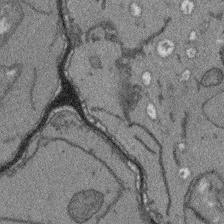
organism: Arabidopsis thaliana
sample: Root tip